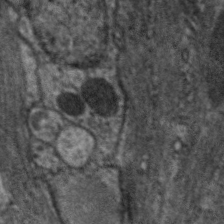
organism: C. elegans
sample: Pharynx